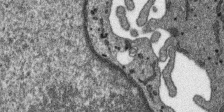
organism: Human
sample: Lung epithelial cells infected with SARS-CoV-2